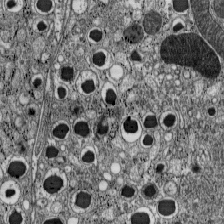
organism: C57BL Mouse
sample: Pancreatic islet